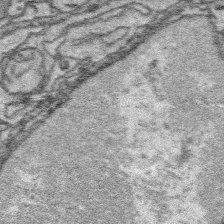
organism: Platynereis dumerilii